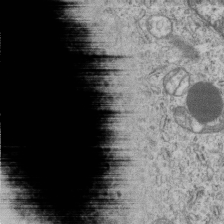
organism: Human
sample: MDA-MB-231 cells